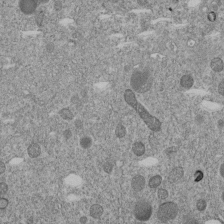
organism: C. elegans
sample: C. elegans embryo early stage